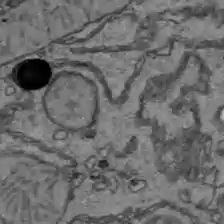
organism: C57BL Mouse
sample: Liver